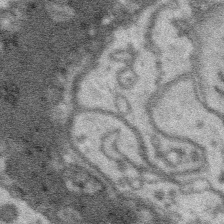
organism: Platynereis dumerilii